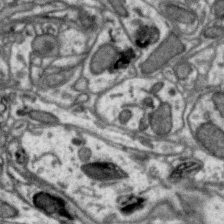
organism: Zebra finch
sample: Brain